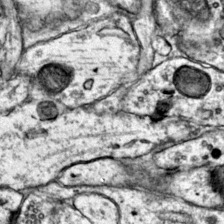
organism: Mouse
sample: Primary visual cortex